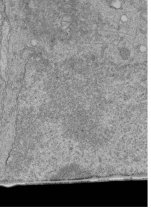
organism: Human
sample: Retinal organoid Rod and Cone cells